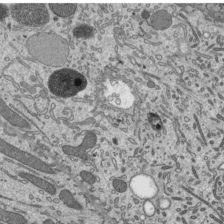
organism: Mouse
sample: Mouse epididymis efferent ductule cilia